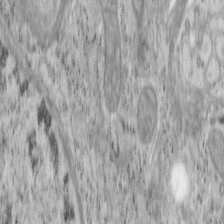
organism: Human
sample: HeLa cells